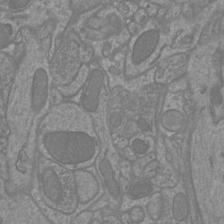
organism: Mouse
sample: Cortical neurons